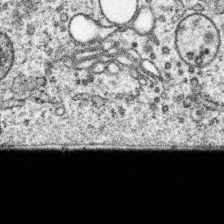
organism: Human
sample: HeLa cells